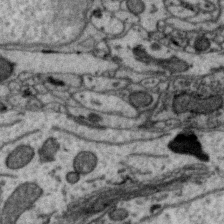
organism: Zebra finch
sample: Brain